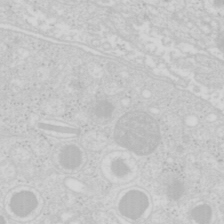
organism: Mouse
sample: Pancreas